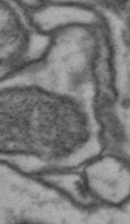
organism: Drosophila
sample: Brain